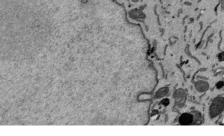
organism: Mouse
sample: ED-1 cell nuclei; centrioles